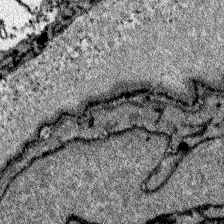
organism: Zebrafish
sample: Larval olfactory bulb